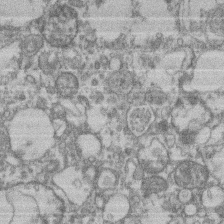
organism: Mouse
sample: T cell stromal cell synapse